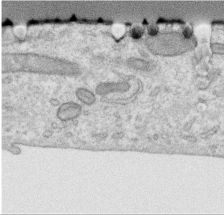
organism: Human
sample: Centriole in RPE cells